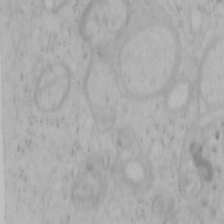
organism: Mouse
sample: OT-I killer T cells with ID8 ovarian cancer cells